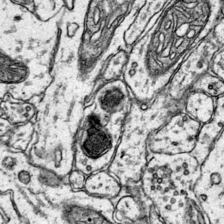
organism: Mouse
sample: Primary visual cortex